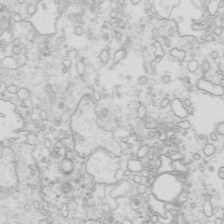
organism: Mouse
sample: Multiciliated cells